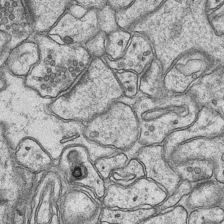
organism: Mouse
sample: CA1 Hippocampus